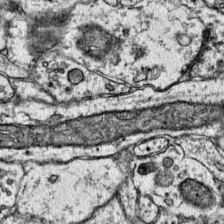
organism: Mouse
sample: Primary visual cortex